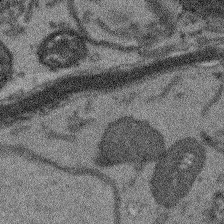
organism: Arabidopsis thaliana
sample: Root tip